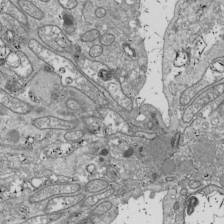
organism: Drosophila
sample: Cell division; meiosis; drosophila spermatocytes